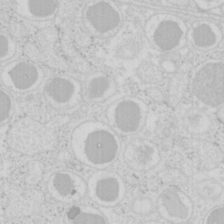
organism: Mouse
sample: Pancreas